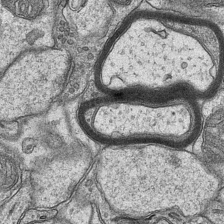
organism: Mouse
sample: CA1 Hippocampus